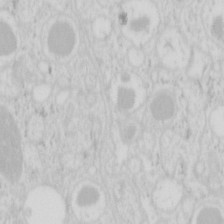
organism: Mouse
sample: Pancreas